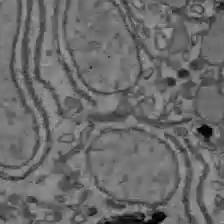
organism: C57BL Mouse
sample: Liver